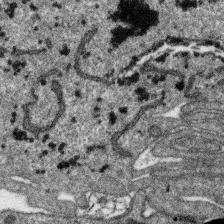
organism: Human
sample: Lung epithelial cells infected with SARS-CoV-2